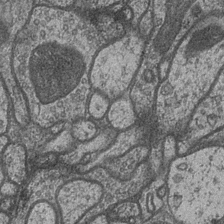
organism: Drosophila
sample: Optic medulla